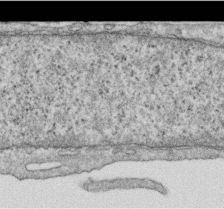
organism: Human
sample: Centriole in RPE cells